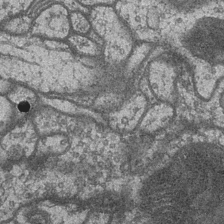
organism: Drosophila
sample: Optic medulla